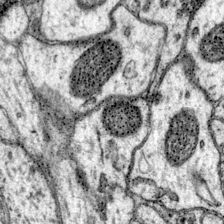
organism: Mouse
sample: Primary visual cortex